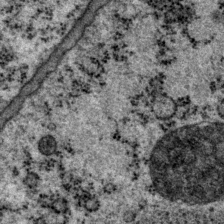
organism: P. pacificus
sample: Pharynx